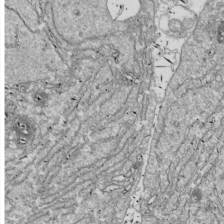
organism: Drosophila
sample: Cell division; meiosis; drosophila spermatocytes